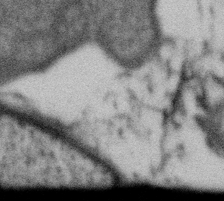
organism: Gemmata obscuriglobus